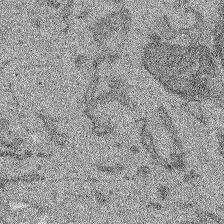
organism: Human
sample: HeLa cells